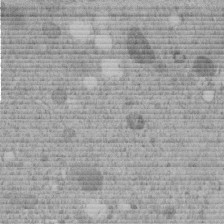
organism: C. elegans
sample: C. elegans embryo early stage